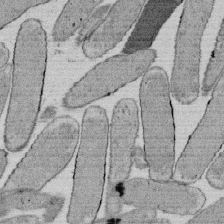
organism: E. coli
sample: Bacterial nucleoid